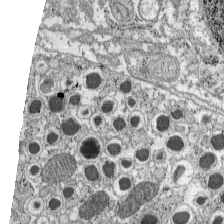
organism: C57BL Mouse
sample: Pancreatic islet